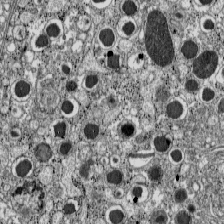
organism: C57BL Mouse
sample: Pancreatic islet